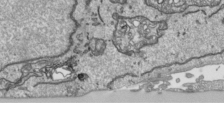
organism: Human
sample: Mitochondria in HCT116 cells